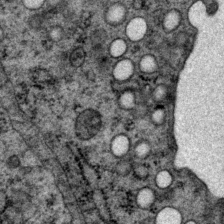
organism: P. pacificus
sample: Pharynx